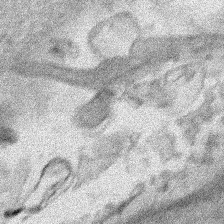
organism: Human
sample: Mitochondria in HCT116 cells